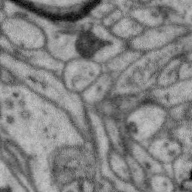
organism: Zebra finch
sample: Brain